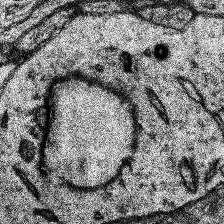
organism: Human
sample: Temporal Lobe